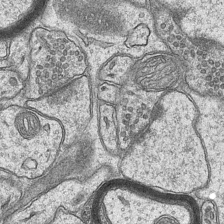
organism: Mouse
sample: CA1 Hippocampus